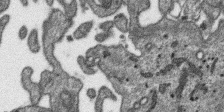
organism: Human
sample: Lung epithelial cells infected with SARS-CoV-2